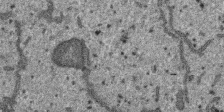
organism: Human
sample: Lung epithelial cells infected with SARS-CoV-2